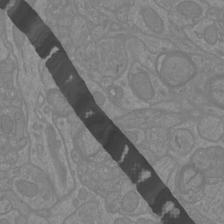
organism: Mouse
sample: Cortical neurons